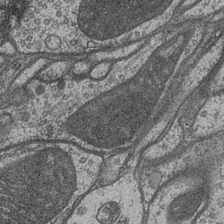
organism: Drosophila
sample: Optic medulla